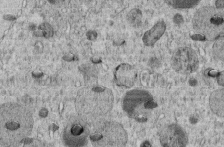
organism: C. elegans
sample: C. elegans embryo early stage